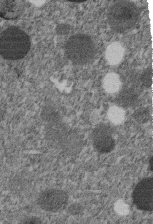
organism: C. elegans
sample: C. elegans embryo early stage